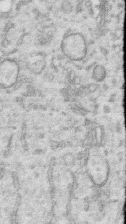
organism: Human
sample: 1205lu cells